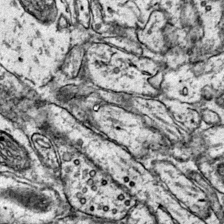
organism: Mouse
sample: Primary visual cortex